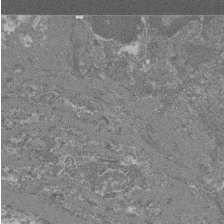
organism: Mouse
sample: Glomerulus